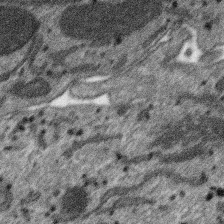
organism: Human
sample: Lung epithelial cells infected with SARS-CoV-2